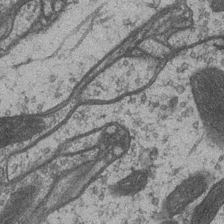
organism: Drosophila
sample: Optic medulla